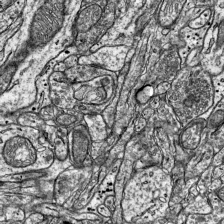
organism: Mouse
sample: Visual Cortex